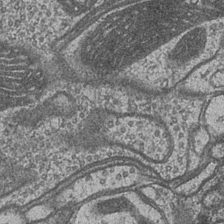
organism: Drosophila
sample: Optic medulla